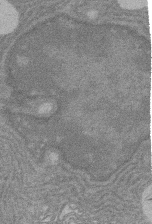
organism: Rat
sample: Salivary granule